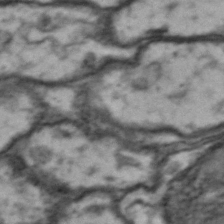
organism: Drosophila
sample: Brain